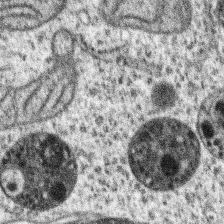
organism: Human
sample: HeLa cells